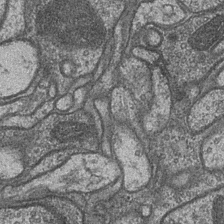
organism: Drosophila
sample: Optic medulla